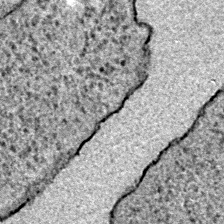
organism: E. coli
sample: E. Coli Bacteria